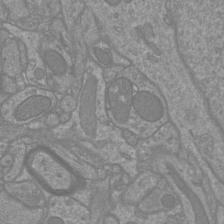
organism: Mouse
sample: Cortical neurons